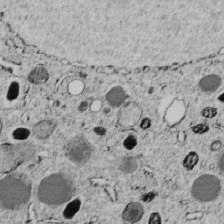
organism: C. elegans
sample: C. elegans embryo early stage